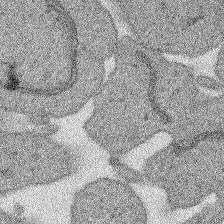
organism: Human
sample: HeLa cells